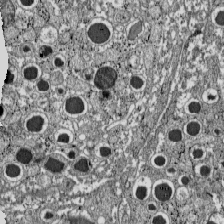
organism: C57BL Mouse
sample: Pancreatic islet